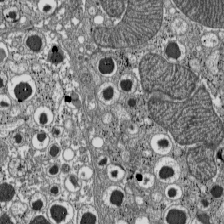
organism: C57BL Mouse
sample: Pancreatic islet